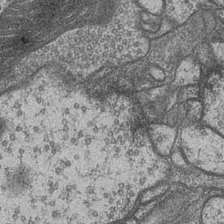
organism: Drosophila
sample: Optic medulla